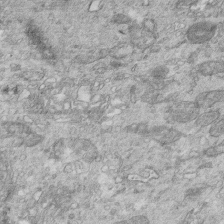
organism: Mouse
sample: Multiciliated cells